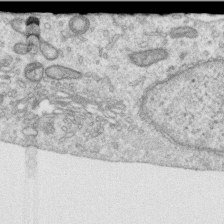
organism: Human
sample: Centriole in RPE cells